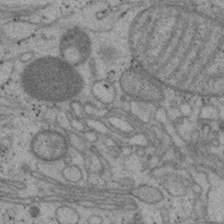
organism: Human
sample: HeLa cells